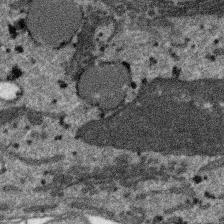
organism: Human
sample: Lung epithelial cells infected with SARS-CoV-2